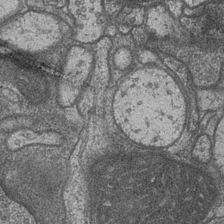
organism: Drosophila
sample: Optic medulla